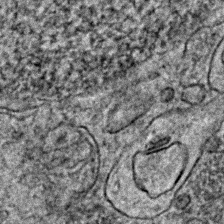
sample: Trachea